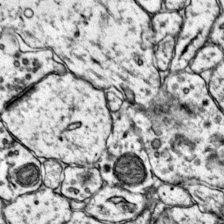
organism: Mouse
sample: Primary visual cortex